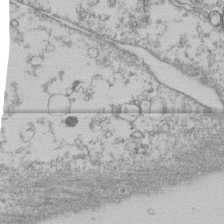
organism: Human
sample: Fibroblast cells